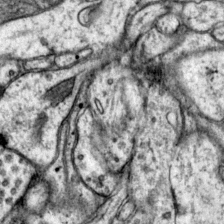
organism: Mouse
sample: Primary visual cortex